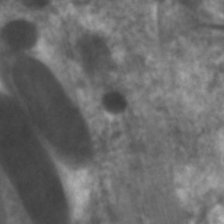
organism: C. elegans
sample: Pharynx